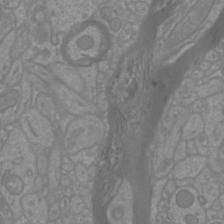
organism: Mouse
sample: Cortical neurons